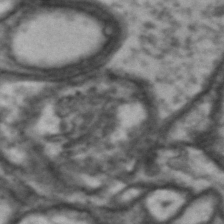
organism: Drosophila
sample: Brain